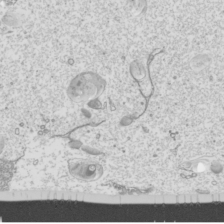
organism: Mouse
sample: Cilia; mouse epididymis